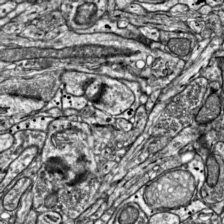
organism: Mouse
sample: Visual Cortex